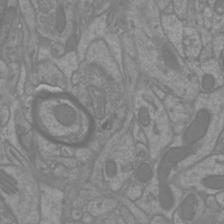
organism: Mouse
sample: Cortical neurons